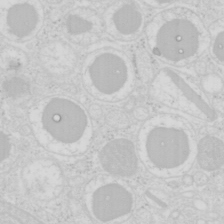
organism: Mouse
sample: Pancreas